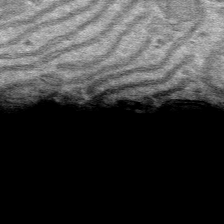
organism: Mouse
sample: Mouse hepatocytes